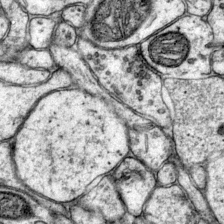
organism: Mouse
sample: Primary visual cortex